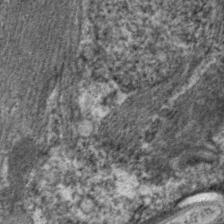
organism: C. elegans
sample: Pharynx